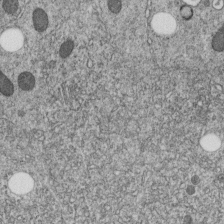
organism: C. elegans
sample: C. elegans embryo early stage